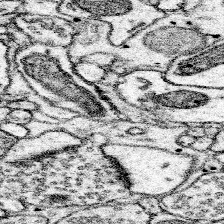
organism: Mouse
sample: Somatosensory cortex neuropil